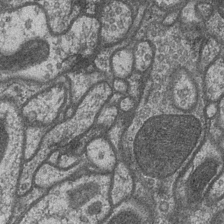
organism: Drosophila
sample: Optic medulla